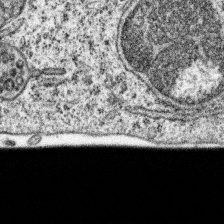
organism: Human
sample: HeLa cells